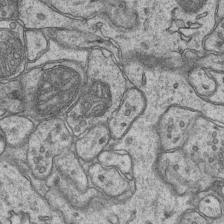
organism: Mouse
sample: CA1 Hippocampus